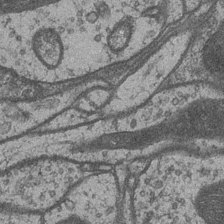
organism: Drosophila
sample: Optic medulla